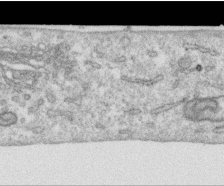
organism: Human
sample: Centriole in RPE cells